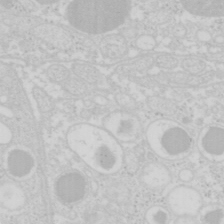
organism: Mouse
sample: Pancreas